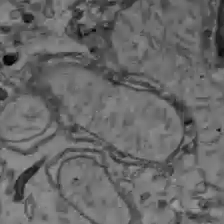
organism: C57BL Mouse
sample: Liver